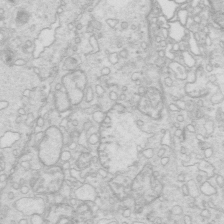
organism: Mouse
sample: Multiciliated cells